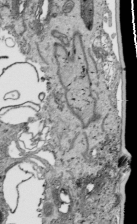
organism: Human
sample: Mitochondria in HCT116 cells